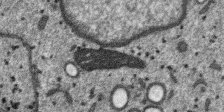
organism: Human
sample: Lung epithelial cells infected with SARS-CoV-2